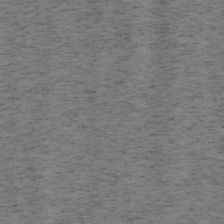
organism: Mouse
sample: OT-I killer T cells with ID8 ovarian cancer cells